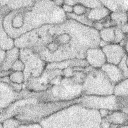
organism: Rabbit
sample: Retina